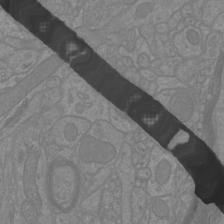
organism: Mouse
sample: Cortical neurons